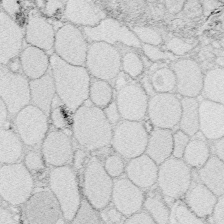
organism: Zebrafish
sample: Whole-Brain